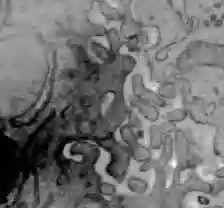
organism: C57BL Mouse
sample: Liver